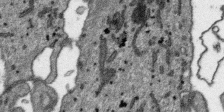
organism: Human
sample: Lung epithelial cells, uninfected (mock) control